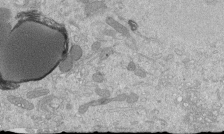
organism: Mouse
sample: ED-1 cell nuclei; centrioles